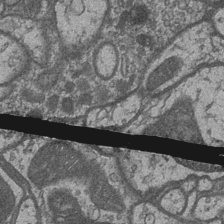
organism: Drosophila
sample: Optic medulla